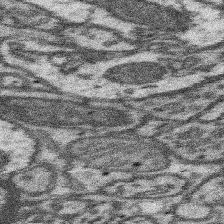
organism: Mouse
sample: Somatosensory cortex neuropil